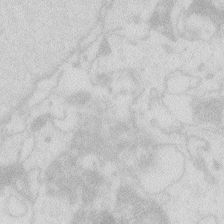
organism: Zebrafish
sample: Macrophage